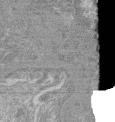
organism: Mouse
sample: Glomerulus